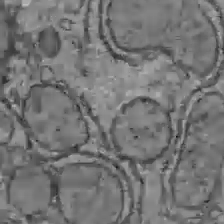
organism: C57BL Mouse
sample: Liver